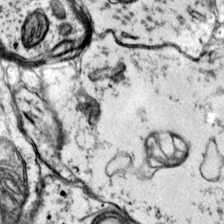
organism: Mouse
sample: Primary visual cortex